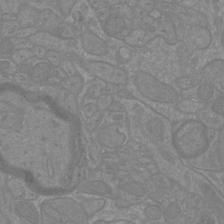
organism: Mouse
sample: Cortical neurons